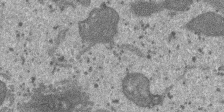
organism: Human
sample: Lung epithelial cells infected with SARS-CoV-2